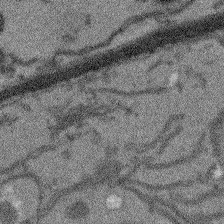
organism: Arabidopsis thaliana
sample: Root tip